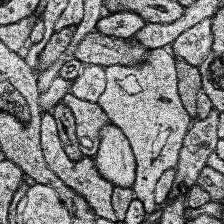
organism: Human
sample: Temporal Lobe